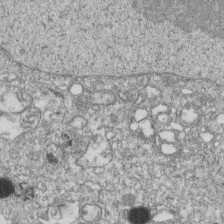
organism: Human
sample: HeLa cell HIV synapse